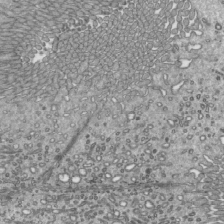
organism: Mouse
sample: Mouse epididymis efferent ductule cilia